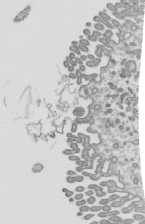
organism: Mouse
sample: Mouse epididymis efferent ductule cilia